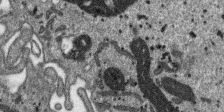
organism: Human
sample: Lung epithelial cells infected with SARS-CoV-2